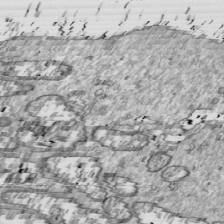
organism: Drosophila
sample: Cell division; meiosis; drosophila spermatocytes